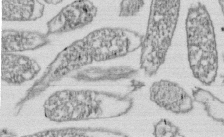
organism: E. coli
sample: Bacterial nucleoid